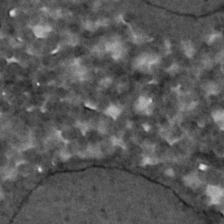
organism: C. elegans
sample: C. elegans embryo